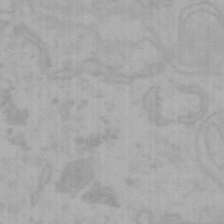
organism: Mouse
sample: Choroid plexus